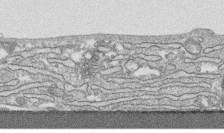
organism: Human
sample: CRL-1474